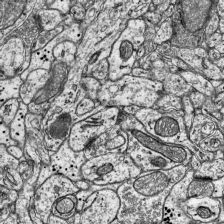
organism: Mouse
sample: Visual Cortex